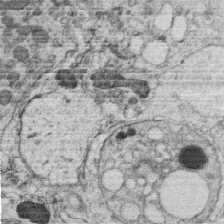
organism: C. elegans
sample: C. elegans oocyte; sperm cells